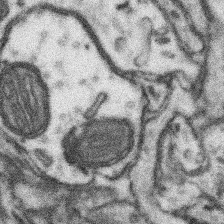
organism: Mouse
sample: Somatosensory cortex neuropil